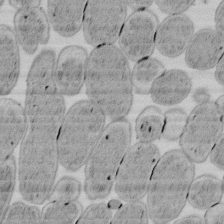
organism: E. coli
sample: Bacterial nucleoid